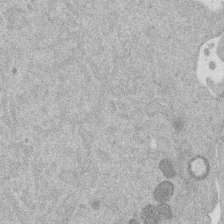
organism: Mouse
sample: Dividing mouse embryo 1 cell stage